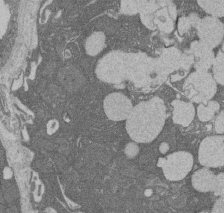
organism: Rat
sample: Salivary granule